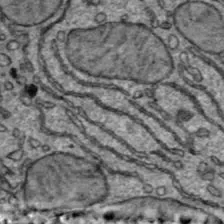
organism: C57BL Mouse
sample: Liver